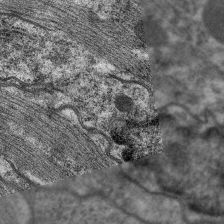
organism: C. elegans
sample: Pharynx